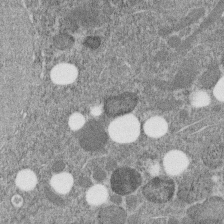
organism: C. elegans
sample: C. elegans embryo early stage